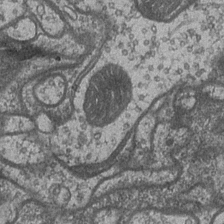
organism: Drosophila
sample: Optic medulla